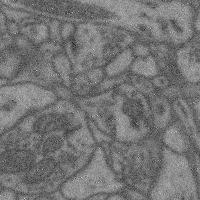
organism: Mouse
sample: Cerebral cortex